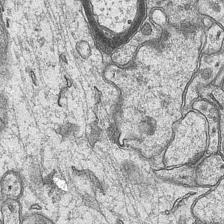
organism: Mouse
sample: CA1 Hippocampus